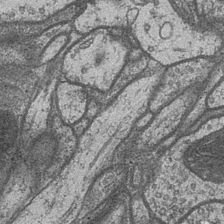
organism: Drosophila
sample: Optic medulla